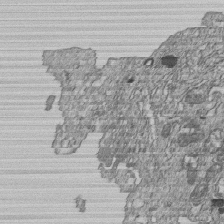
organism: Human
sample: MDA-MB-231 cells